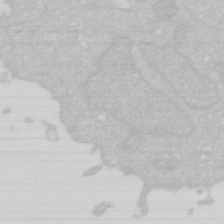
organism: Human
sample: HIV infected U937 cells